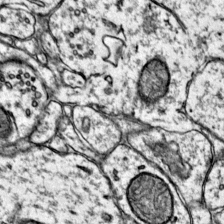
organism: Mouse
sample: Primary visual cortex